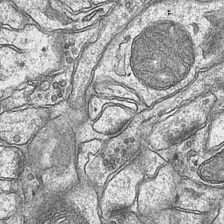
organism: Mouse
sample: CA1 Hippocampus